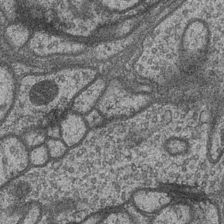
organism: Drosophila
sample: Optic medulla